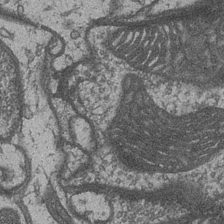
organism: Drosophila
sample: Optic medulla